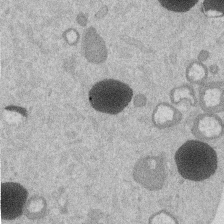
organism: Mouse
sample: Dividing mouse embryo 1 cell stage